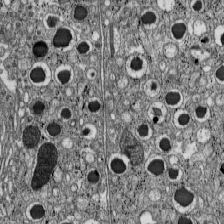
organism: C57BL Mouse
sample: Pancreatic islet